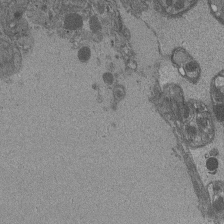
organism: Drosophila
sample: Antenna